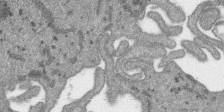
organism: Human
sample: Lung epithelial cells infected with SARS-CoV-2